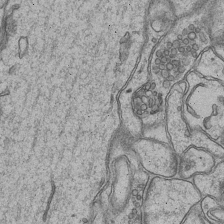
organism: Mouse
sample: CA1 Hippocampus